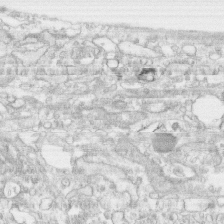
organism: Human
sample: CRL-1474